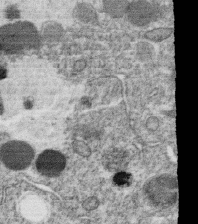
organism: C. elegans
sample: C. elegans oocyte; sperm cells